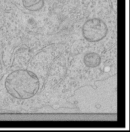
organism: Human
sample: Mitochondria in HCT116 cells